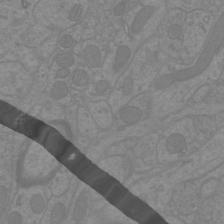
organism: Mouse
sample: Cortical neurons